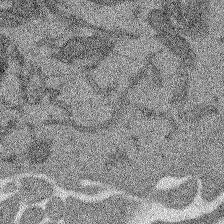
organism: Human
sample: HeLa cells